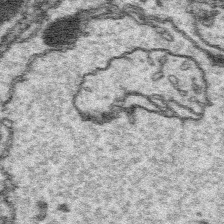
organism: Platynereis dumerilii